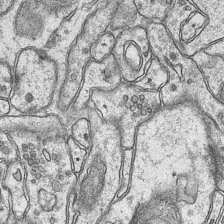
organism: Mouse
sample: CA1 Hippocampus